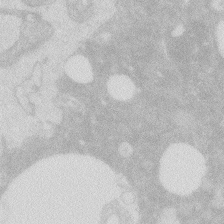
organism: Zebrafish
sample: Macrophage